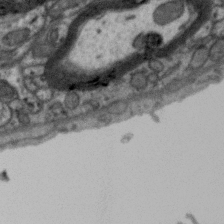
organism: Zebra finch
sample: Brain